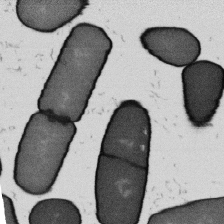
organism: B. subtilis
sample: Bacterial spore